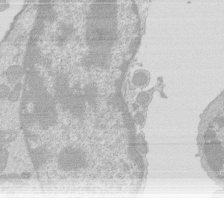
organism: Mouse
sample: Activated Pmel transgenic CD8+ T Cells